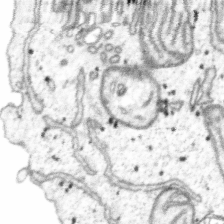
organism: Human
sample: HeLa cells